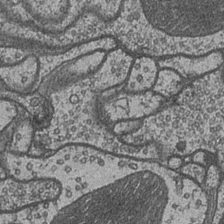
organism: Drosophila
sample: Optic medulla